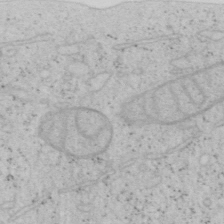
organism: Human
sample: HeLa cells